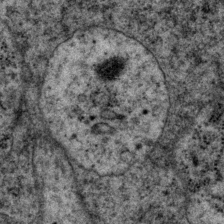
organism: P. pacificus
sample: Pharynx